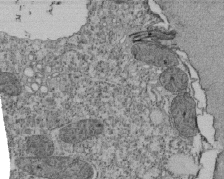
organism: Tetrahymena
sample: Cilia in tetrahymena